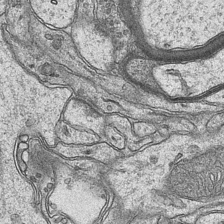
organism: Mouse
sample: CA1 Hippocampus